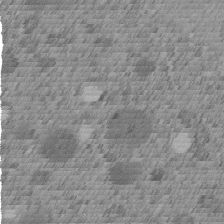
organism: C. elegans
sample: C. elegans embryo early stage